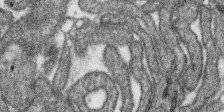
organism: Human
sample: Lung epithelial cells infected with SARS-CoV-2